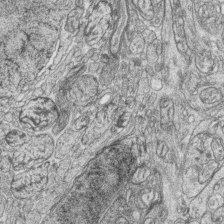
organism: Zebrafish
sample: synaptic ribbons in rod cells and cone cells